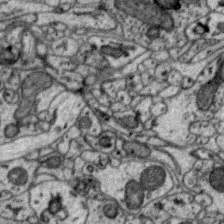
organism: Zebra finch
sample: Brain